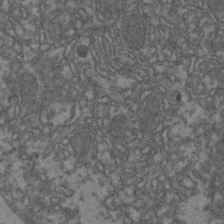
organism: Zebrafish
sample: Zebrafish embryo